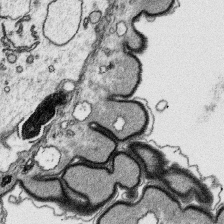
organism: Platynereis dumerilii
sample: Parapodia